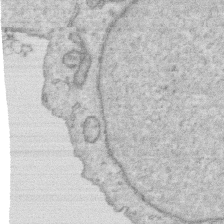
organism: Human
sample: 1205lu cells